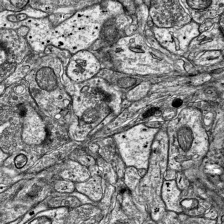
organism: Mouse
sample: Visual Cortex